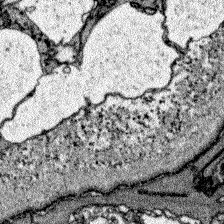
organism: Zebrafish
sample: Larval olfactory bulb